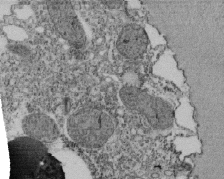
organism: Tetrahymena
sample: Cilia in tetrahymena